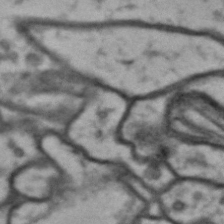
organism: Drosophila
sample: Brain